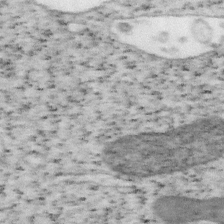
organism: Mouse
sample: OT-I killer T cells with ID8 ovarian cancer cells